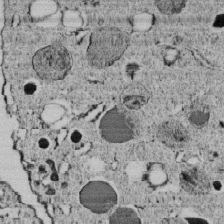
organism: C. elegans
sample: C. elegans embryo early stage